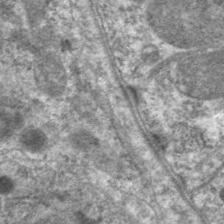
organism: C. elegans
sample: Pharynx